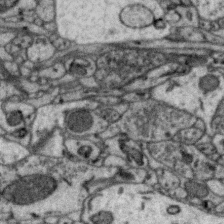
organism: Zebra finch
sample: Brain